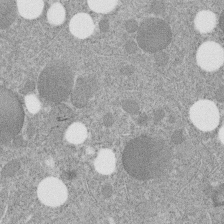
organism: C. elegans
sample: C. elegans embryo early stage